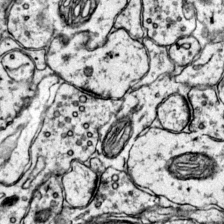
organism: Mouse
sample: Primary visual cortex